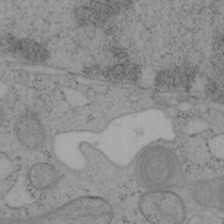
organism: Mouse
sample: OT-I killer T cells with ID8 ovarian cancer cells